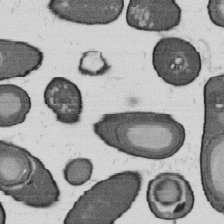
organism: B. subtilis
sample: Bacterial spore